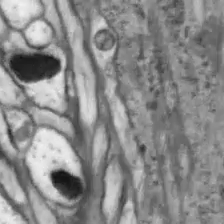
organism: Drosophila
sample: Optic lobe